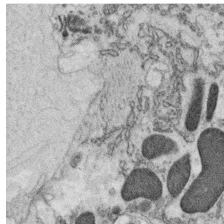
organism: C. elegans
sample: C. elegans oocyte; sperm cells